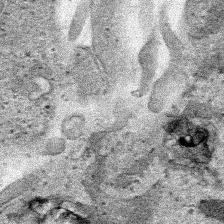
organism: Human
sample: Mitochondria in HCT116 cells